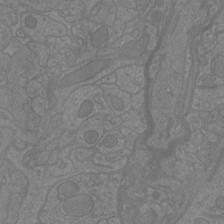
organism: Mouse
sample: Cortical neurons